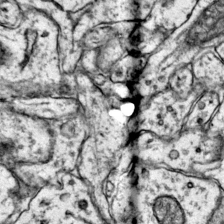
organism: Mouse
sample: Primary visual cortex